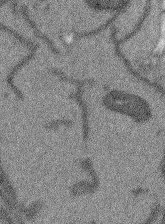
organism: Arabidopsis thaliana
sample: Root tip